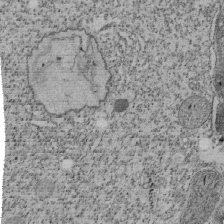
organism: Tetrahymena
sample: Cilia in tetrahymena